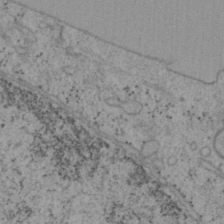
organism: Human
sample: HeLa cells